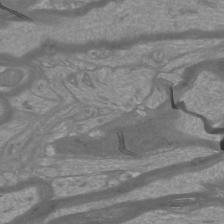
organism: Mouse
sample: Cortical neurons